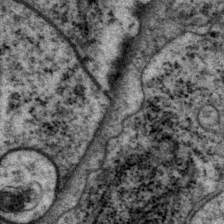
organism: P. pacificus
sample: Pharynx